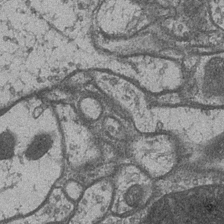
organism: Drosophila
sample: Optic medulla